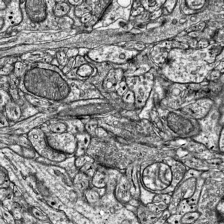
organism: Mouse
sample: Visual Cortex